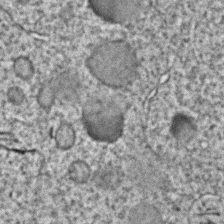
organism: C. elegans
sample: C. elegans embryo